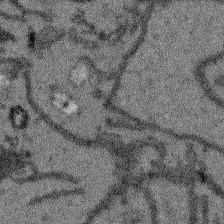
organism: Arabidopsis thaliana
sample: Root tip